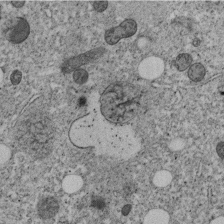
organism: C. elegans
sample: C. elegans embryo early stage